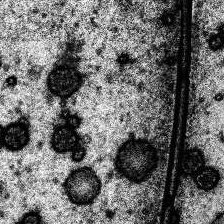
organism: Human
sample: Temporal Lobe